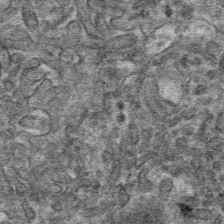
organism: Mouse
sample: Mouse hepatocytes